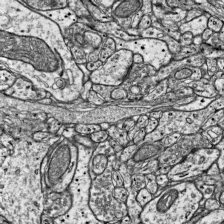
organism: Mouse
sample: Visual Cortex